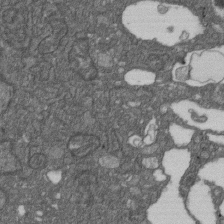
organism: Drosophila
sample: Nephrocyte